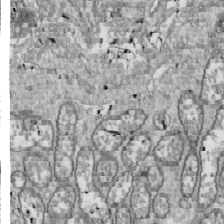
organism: Drosophila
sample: Cell division; meiosis; drosophila spermatocytes